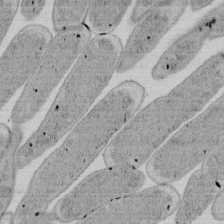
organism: E. coli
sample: Bacterial nucleoid